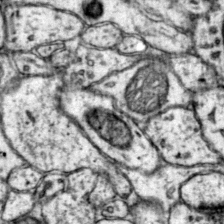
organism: Mouse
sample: Primary visual cortex